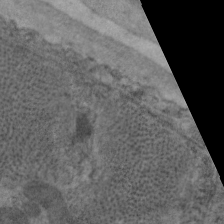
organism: C. elegans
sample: Pharynx